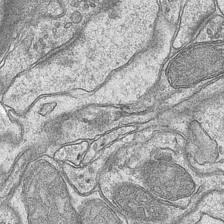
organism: Mouse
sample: CA1 Hippocampus